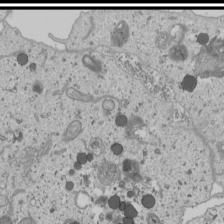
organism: Human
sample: Mitochondria in U2OS cells